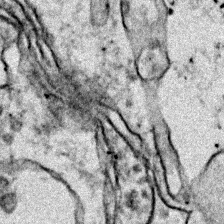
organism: Zebrafish